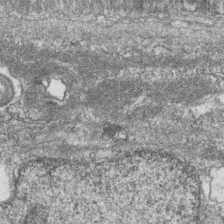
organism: Zebrafish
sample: Cilia; retinal pigment epithelium